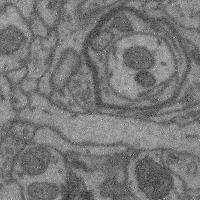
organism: Mouse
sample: Cerebral cortex